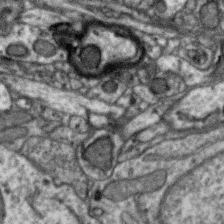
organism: Zebra finch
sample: Brain